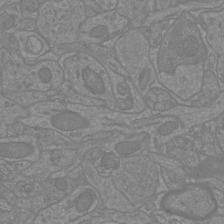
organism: Mouse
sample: Cortical neurons